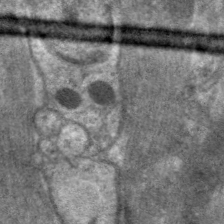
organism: C. elegans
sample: Pharynx